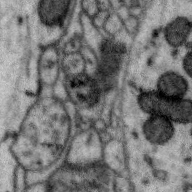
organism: Zebra finch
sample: Brain